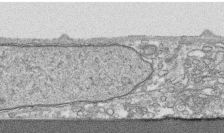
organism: Human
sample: CRL-1474